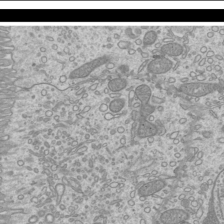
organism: Mouse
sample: Cilia; mouse epididymis